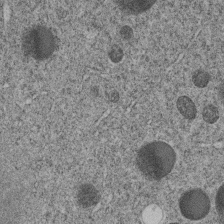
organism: C. elegans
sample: C. elegans embryo early stage